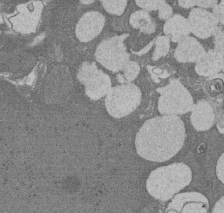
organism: Rat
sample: Salivary granule